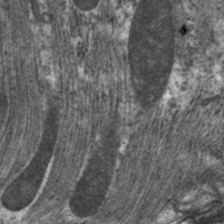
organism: C. elegans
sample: Pharynx